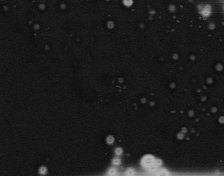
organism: Mouse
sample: Cancer cell death in ED-1 cells